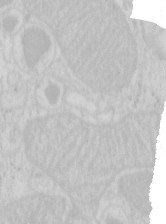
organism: Mouse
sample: Pancreas